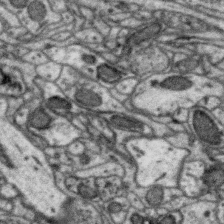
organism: Zebra finch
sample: Brain